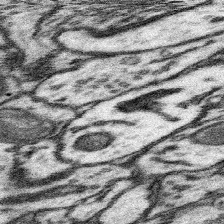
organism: Mouse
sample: Somatosensory cortex neuropil